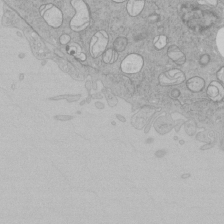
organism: Human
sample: Mitochondria in HCT116 cells